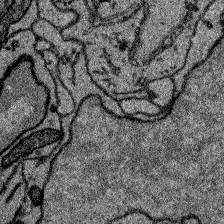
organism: Zebrafish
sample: Larval olfactory bulb